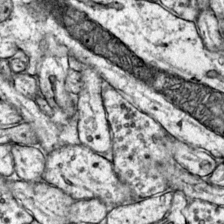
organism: Mouse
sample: Primary visual cortex